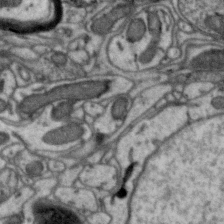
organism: Zebra finch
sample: Brain